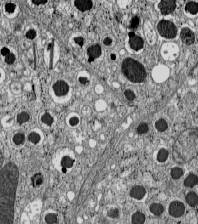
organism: C57BL Mouse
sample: Pancreatic islet